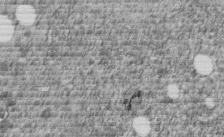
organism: C. elegans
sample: C. elegans embryo early stage